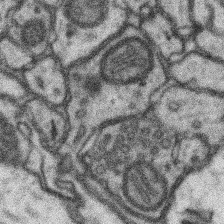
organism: Mouse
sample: Somatosensory cortex neuropil